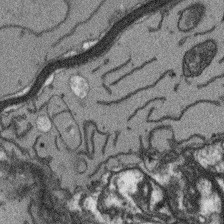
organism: Arabidopsis thaliana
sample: Root tip